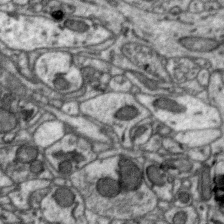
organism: Zebra finch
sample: Brain